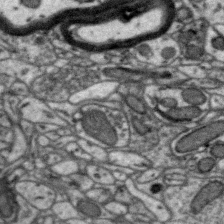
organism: Zebra finch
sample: Brain